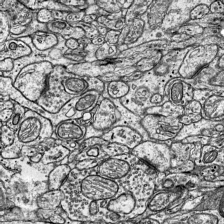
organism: Mouse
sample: Visual Cortex